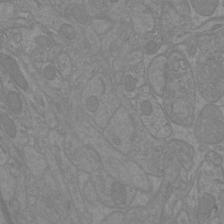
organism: Mouse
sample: Cortical neurons